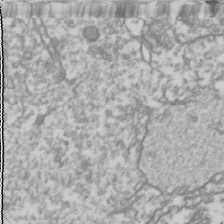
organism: Drosophila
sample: Cell division; meiosis; drosophila spermatocytes